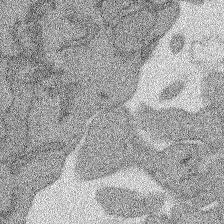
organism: Human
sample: HeLa cells